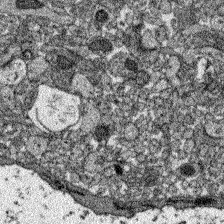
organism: Zebrafish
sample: Larval olfactory bulb